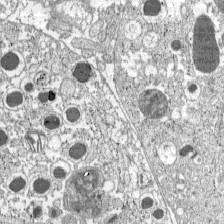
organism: C57BL Mouse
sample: Pancreatic islet